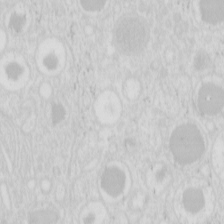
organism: Mouse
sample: Pancreas